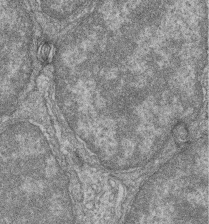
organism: Zebrafish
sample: Cilia; retinal pigment epithelium